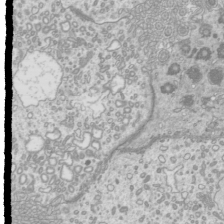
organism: Mouse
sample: Cilia; mouse epididymis